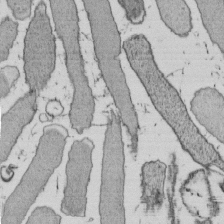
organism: E. coli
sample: Bacterial nucleoid